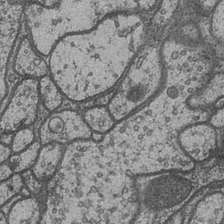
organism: Drosophila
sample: Optic medulla